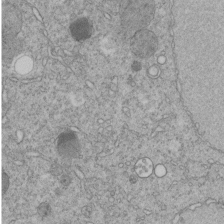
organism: C. elegans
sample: C. elegans embryo early stage